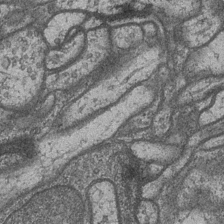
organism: Drosophila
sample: Optic medulla